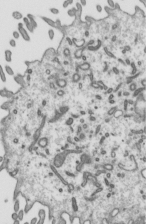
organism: Mouse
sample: Mouse epididymis efferent ductule cilia